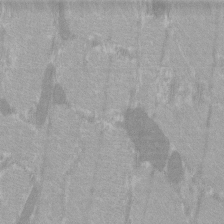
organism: C57BL Mouse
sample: Tibialis anterior muscle cell